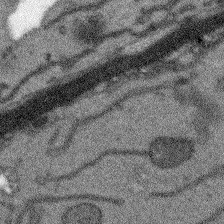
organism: Arabidopsis thaliana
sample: Root tip